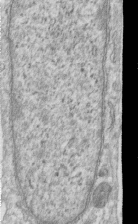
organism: Human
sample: Centriole in RPE cells